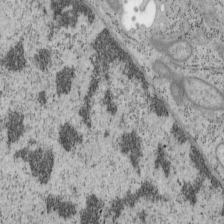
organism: Mouse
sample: OT-I killer T cells with ID8 ovarian cancer cells